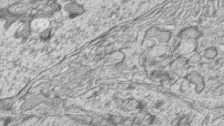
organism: Zebrafish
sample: synaptic ribbons in rod cells and cone cells